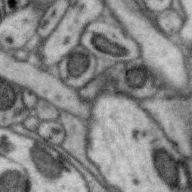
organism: Zebra finch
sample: Brain